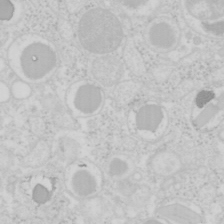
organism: Mouse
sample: Pancreas